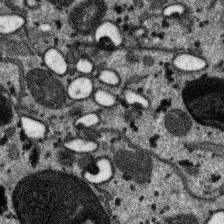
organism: Human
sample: Lung epithelial cells infected with SARS-CoV-2